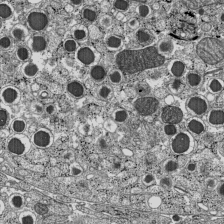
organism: C57BL Mouse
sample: Pancreatic islet